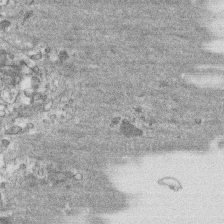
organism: Human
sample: CRL-1474